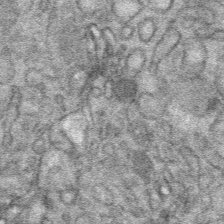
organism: Mouse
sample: Mouse Salivary gland